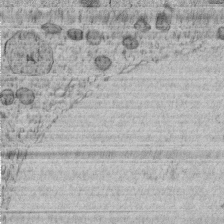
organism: C. elegans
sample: C. elegans embryo early stage